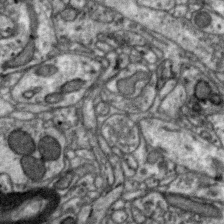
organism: Zebra finch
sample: Brain